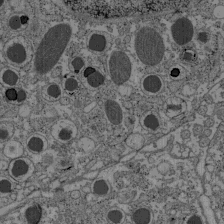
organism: C57BL Mouse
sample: Pancreatic islet